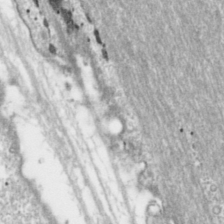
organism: Toxoplasma gondii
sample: Parasites in a vacuole inside a host cell